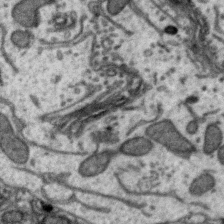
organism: Zebra finch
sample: Brain